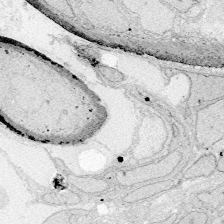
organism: Zebrafish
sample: Whole-Brain